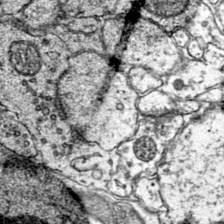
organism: Mouse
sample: Primary visual cortex